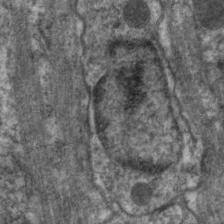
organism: C. elegans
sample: Pharynx